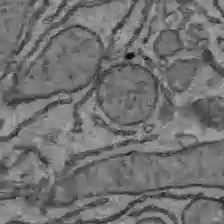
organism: C57BL Mouse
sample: Liver